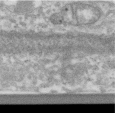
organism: Human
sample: Centriole in RPE cells